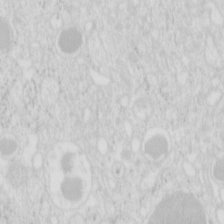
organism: Mouse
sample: Pancreas